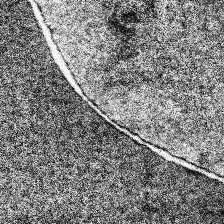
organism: Human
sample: Temporal Lobe